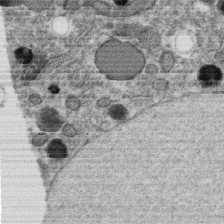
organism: C. elegans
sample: C. elegans oocyte; sperm cells